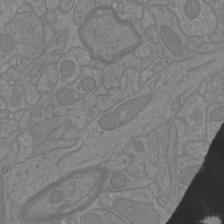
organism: Mouse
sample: Cortical neurons